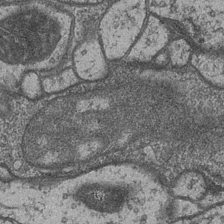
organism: Drosophila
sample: Optic medulla